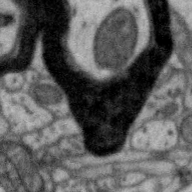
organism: Zebra finch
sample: Brain